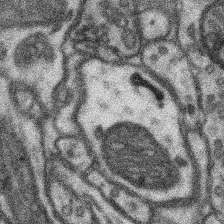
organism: Mouse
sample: Somatosensory cortex neuropil